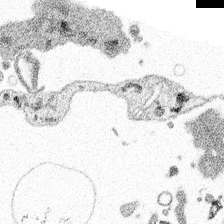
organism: Spongilla lacustris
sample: Multiple